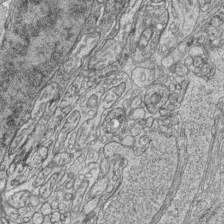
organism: Zebrafish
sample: synaptic ribbons in rod cells and cone cells